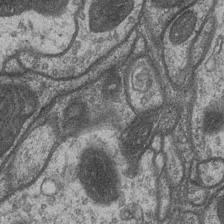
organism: Drosophila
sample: Optic medulla